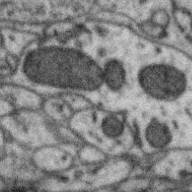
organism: Zebra finch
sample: Brain